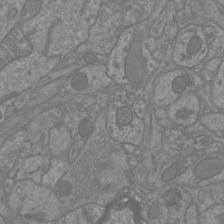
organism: Mouse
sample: Cortical neurons